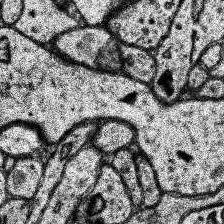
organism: Human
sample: Temporal Lobe